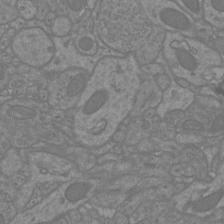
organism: Mouse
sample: Cortical neurons